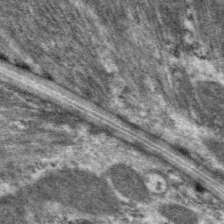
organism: C. elegans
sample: Pharynx